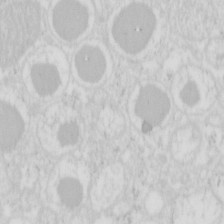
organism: Mouse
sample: Pancreas